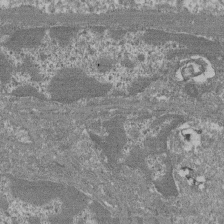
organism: Mouse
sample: Glomerulus